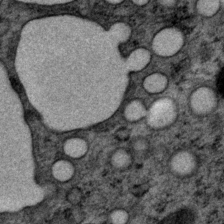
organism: P. pacificus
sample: Pharynx